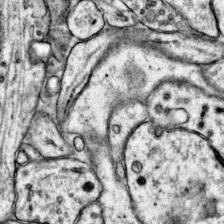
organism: Mouse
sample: Primary visual cortex